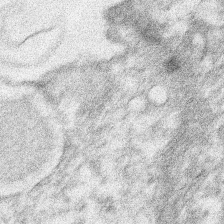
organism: Xenopus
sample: Cilia; centrioles in frog embryo cells